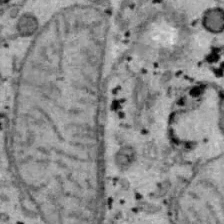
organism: Mouse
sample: Liver from an obese (ob/ob) mouse